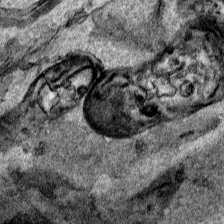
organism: Human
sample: Mitochondria in HCT116 cells